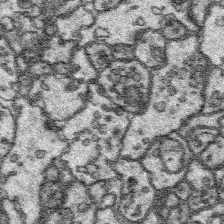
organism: Platynereis dumerilii